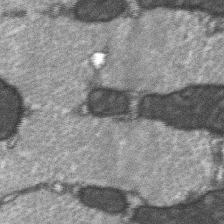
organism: C57BL Mouse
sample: Soleus